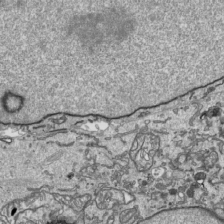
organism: Human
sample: Mitochondria in HCT116 cells